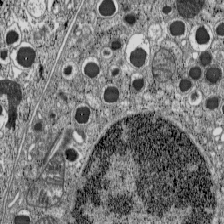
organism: C57BL Mouse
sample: Pancreatic islet